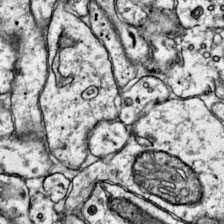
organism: Mouse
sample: Primary visual cortex